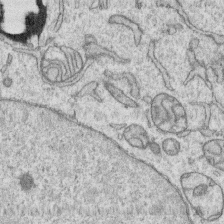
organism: Human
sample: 1205lu cells